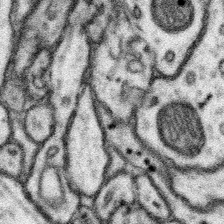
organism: Mouse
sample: Somatosensory cortex neuropil